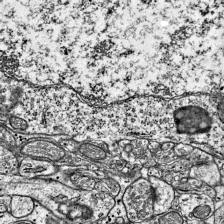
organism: Mouse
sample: Visual Cortex